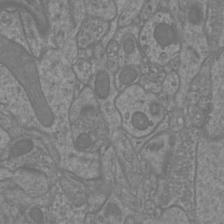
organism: Mouse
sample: Cortical neurons